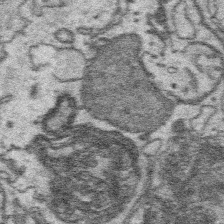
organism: Platynereis dumerilii